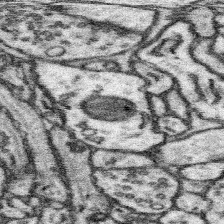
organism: Mouse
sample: Somatosensory cortex neuropil